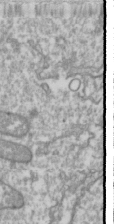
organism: Drosophila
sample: Cell division; meiosis; drosophila spermatocytes